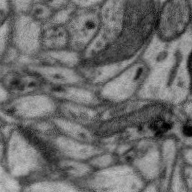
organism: Zebra finch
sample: Brain